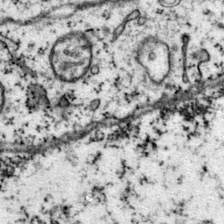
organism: Mouse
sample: Primary visual cortex